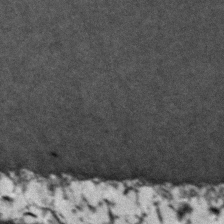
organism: Zebrafish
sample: Zebrafish embryo